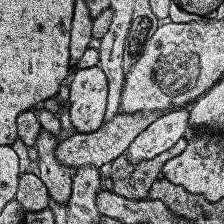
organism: Human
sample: Temporal Lobe